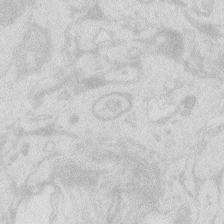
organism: Zebrafish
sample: Macrophage